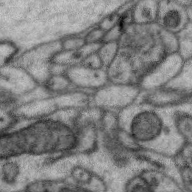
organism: Zebra finch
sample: Brain